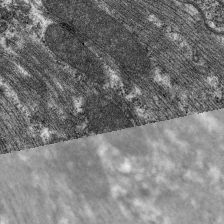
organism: C. elegans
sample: Pharynx